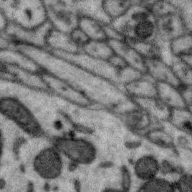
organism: Zebra finch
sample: Brain